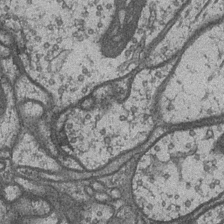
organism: Drosophila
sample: Optic medulla